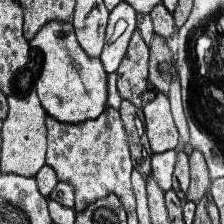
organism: Human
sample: Temporal Lobe